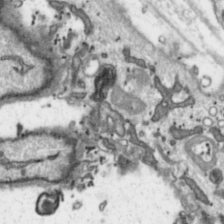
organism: Toxoplasma gondii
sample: Parasites in a vacuole inside a host cell